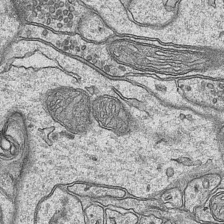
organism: Mouse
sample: CA1 Hippocampus